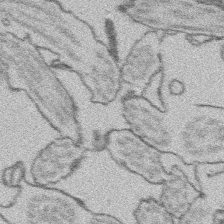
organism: Platynereis dumerilii